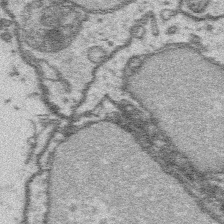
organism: Platynereis dumerilii